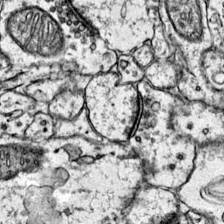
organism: Mouse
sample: Primary visual cortex